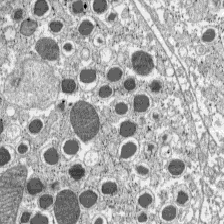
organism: C57BL Mouse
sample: Pancreatic islet